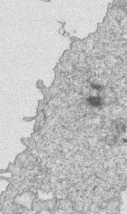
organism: Human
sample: HeLa cell HIV synapse